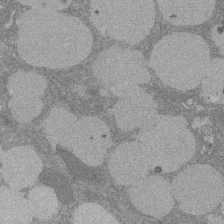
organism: Rat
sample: Salivary granule